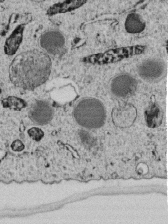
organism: C. elegans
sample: C. elegans embryo early stage